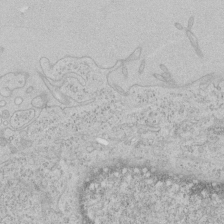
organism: Human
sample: Mitochondria in HCT116 cells